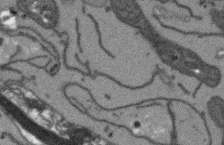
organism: Arabidopsis thaliana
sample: Root tip